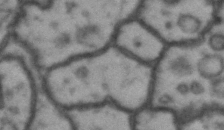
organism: Drosophila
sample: Brain